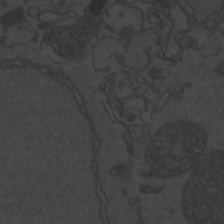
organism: Zebrafish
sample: Macrophage infected with Toxoplasma gondii